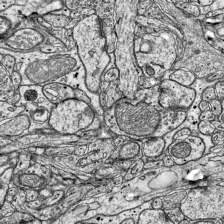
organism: Mouse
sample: Visual Cortex